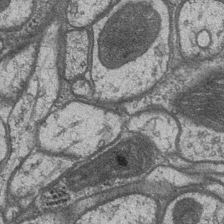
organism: Drosophila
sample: Optic medulla